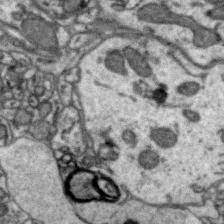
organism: Zebra finch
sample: Brain